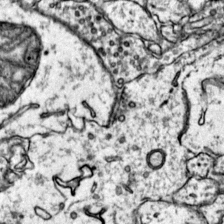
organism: Mouse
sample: Primary visual cortex